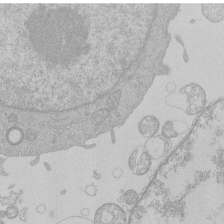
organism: Human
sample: Macrophage cells